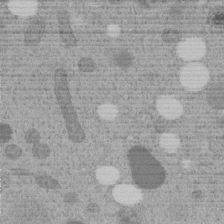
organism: C. elegans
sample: C. elegans embryo early stage